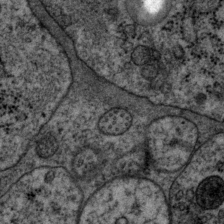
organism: P. pacificus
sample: Pharynx